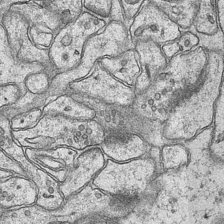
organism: Mouse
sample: CA1 Hippocampus